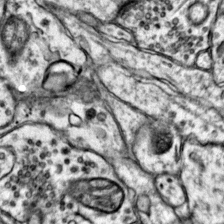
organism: Mouse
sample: Primary visual cortex